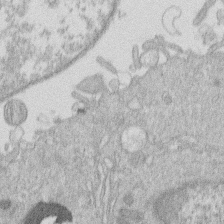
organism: Human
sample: Macrophage cells